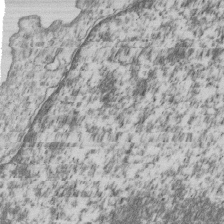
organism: Human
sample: MDA-MB-231 cells